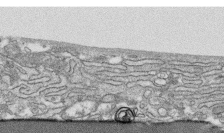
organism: Human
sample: CRL-1474